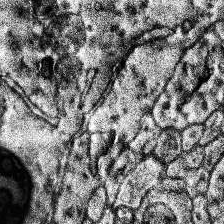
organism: Human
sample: Temporal Lobe